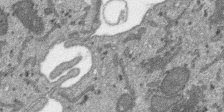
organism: Human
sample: Lung epithelial cells infected with SARS-CoV-2